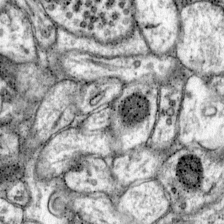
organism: Mouse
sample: Primary visual cortex